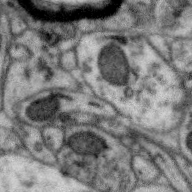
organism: Zebra finch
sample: Brain